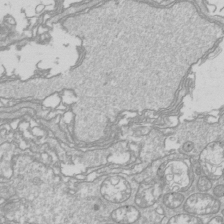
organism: Drosophila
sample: Cell division; meiosis; drosophila spermatocytes